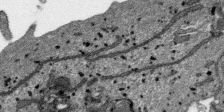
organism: Human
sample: Lung epithelial cells, uninfected (mock) control